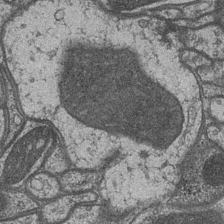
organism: Drosophila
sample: Optic medulla